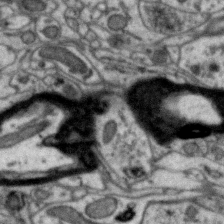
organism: Zebra finch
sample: Brain